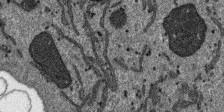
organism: Human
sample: Lung epithelial cells infected with SARS-CoV-2